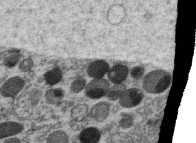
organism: C. elegans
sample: C. elegans oocyte; sperm cells